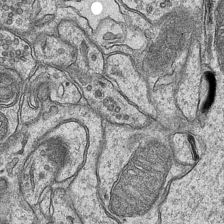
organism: Mouse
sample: CA1 Hippocampus